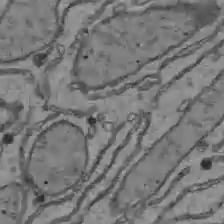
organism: C57BL Mouse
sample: Liver